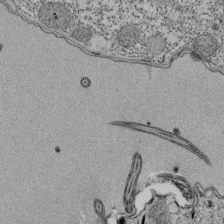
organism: Tetrahymena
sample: Cilia in tetrahymena